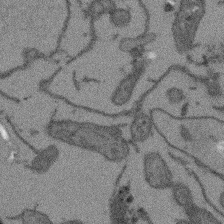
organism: Arabidopsis thaliana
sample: Root tip